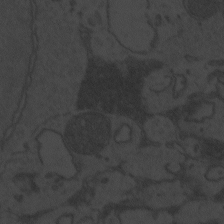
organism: Zebrafish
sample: Macrophage infected with Toxoplasma gondii